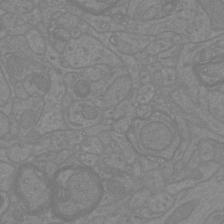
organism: Mouse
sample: Cortical neurons